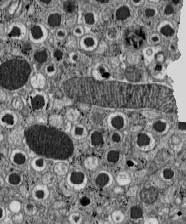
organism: C57BL Mouse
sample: Pancreatic islet